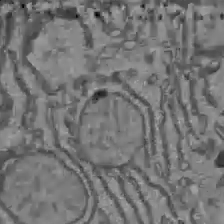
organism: C57BL Mouse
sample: Liver